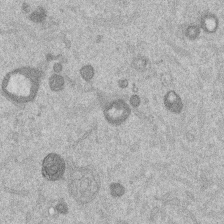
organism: Mouse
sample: Dividing mouse embryo 1 cell stage